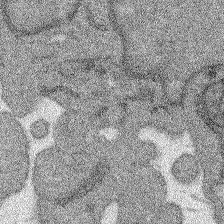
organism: Human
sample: HeLa cells